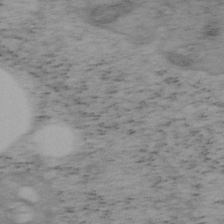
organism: Mouse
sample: OT-I killer T cells with ID8 ovarian cancer cells